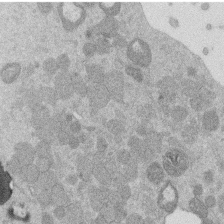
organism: Mouse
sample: Dividing mouse embryo 1 cell stage